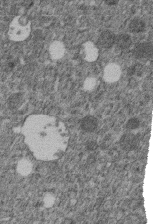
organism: C. elegans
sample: C. elegans embryo early stage